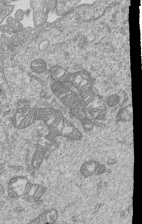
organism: Human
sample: MDA-MB-231 cells